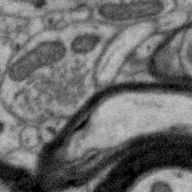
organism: Zebra finch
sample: Brain